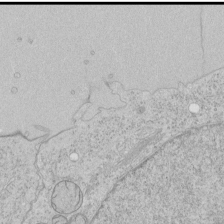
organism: Human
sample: Mitochondria in HCT116 cells